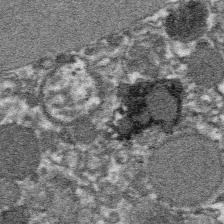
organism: Platynereis dumerilii